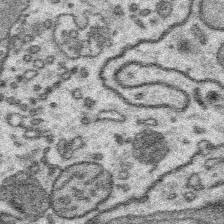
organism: Platynereis dumerilii